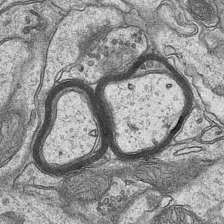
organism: Mouse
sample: CA1 Hippocampus